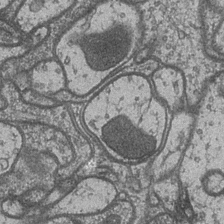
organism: Drosophila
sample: Optic medulla